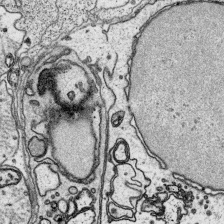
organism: Platynereis dumerilii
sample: Parapodia